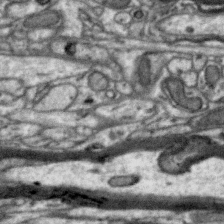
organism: Zebra finch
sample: Brain